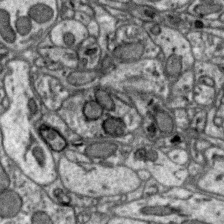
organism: Zebra finch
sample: Brain